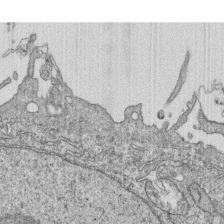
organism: Human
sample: HeLa cell HIV synapse